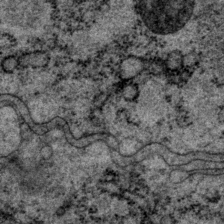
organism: P. pacificus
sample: Pharynx